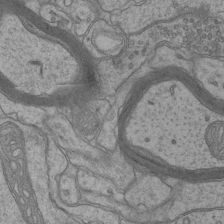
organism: Mouse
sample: CA1 Hippocampus